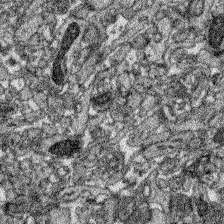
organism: Zebrafish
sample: Larval olfactory bulb